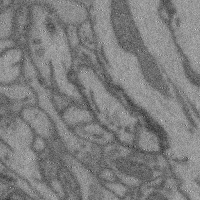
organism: Mouse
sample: Cerebral cortex